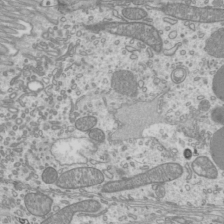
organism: Mouse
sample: Cilia; mouse epididymis